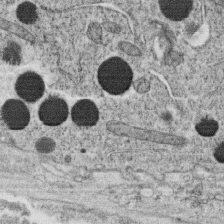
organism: C. elegans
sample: C. elegans oocyte; sperm cells